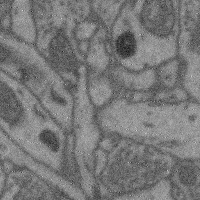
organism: Mouse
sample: Cerebral cortex